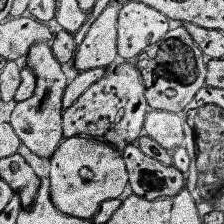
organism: Human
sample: Temporal Lobe